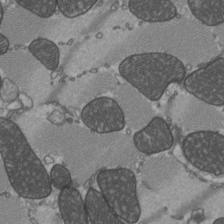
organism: C57BL Mouse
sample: Heart